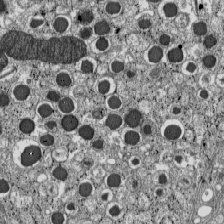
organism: C57BL Mouse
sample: Pancreatic islet